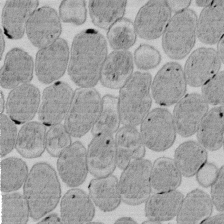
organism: E. coli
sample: Bacterial nucleoid